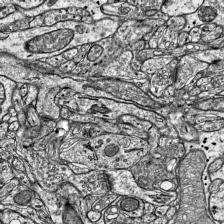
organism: Mouse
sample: Visual Cortex